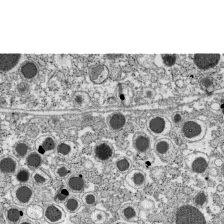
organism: C57BL Mouse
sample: Pancreatic islet